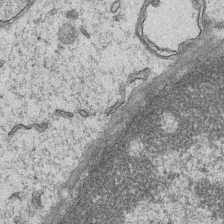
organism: Mouse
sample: CA1 Hippocampus